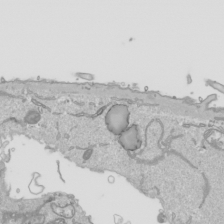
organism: Human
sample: Mitochondria in HCT116 cells